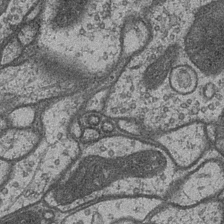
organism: Drosophila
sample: Optic medulla